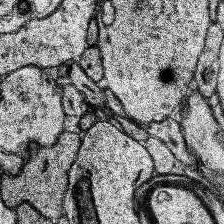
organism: Human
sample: Temporal Lobe